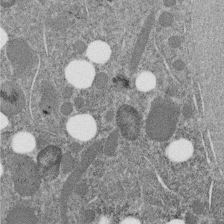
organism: C. elegans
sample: C. elegans embryo early stage